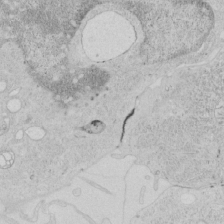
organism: Human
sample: Mitochondria in HCT116 cells